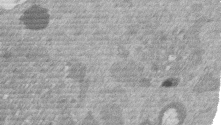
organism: Mouse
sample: Dividing mouse embryo 1 cell stage